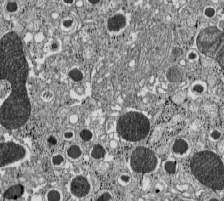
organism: C57BL Mouse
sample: Pancreatic islet